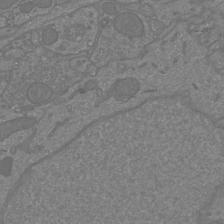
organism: Mouse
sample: Cortical neurons